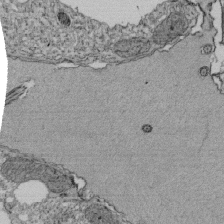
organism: Tetrahymena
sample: Cilia in tetrahymena